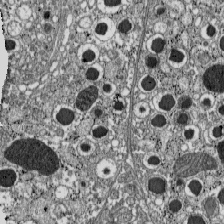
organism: C57BL Mouse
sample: Pancreatic islet